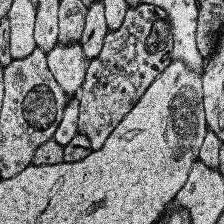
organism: Human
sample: Temporal Lobe